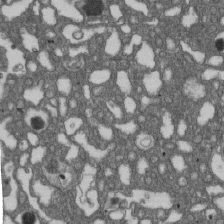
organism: Drosophila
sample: Nephrocyte